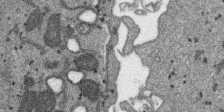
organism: Human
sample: Lung epithelial cells infected with SARS-CoV-2